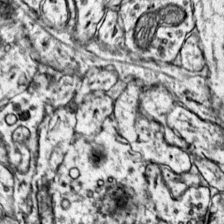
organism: Mouse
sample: Primary visual cortex